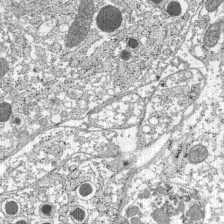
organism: C57BL Mouse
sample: Pancreatic islet